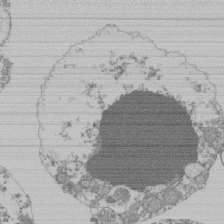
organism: Mouse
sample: Activated Pmel transgenic CD8+ T Cells